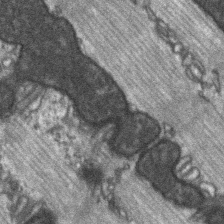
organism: C57BL Mouse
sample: Soleus